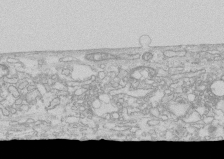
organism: Human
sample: CRL-1474